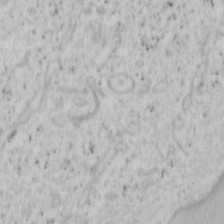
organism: Human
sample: HeLa cells